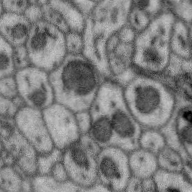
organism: Zebra finch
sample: Brain